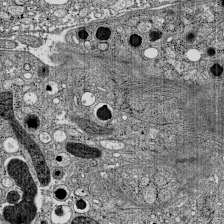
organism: C57BL Mouse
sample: Pancreatic islet